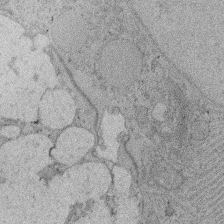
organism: Rat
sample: Salivary granule